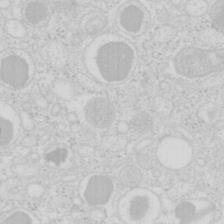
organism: Mouse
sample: Pancreas